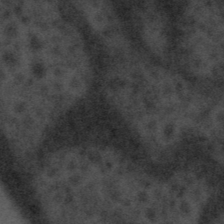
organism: Tuwongella immobilis